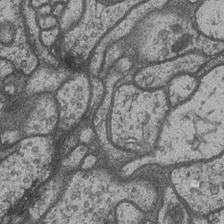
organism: Drosophila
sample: Optic medulla